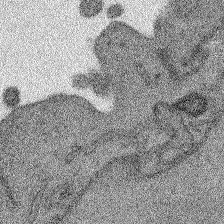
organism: Human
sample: HeLa cells